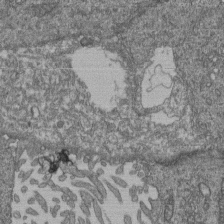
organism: Human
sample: Retinal organoid Rod and Cone cells